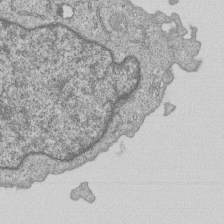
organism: Human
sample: MDA-MB-231 cells